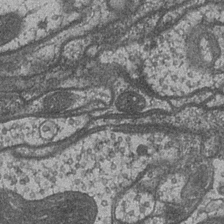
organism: Drosophila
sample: Optic medulla